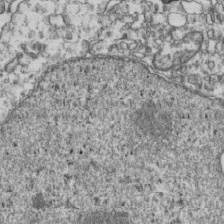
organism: Human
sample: Activated Jurkat CD4+ T cells